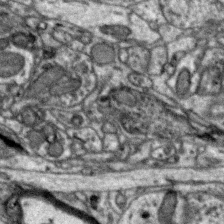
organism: Zebra finch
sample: Brain